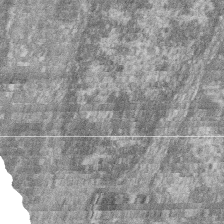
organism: Zebrafish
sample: Cilia; retinal pigment epithelium